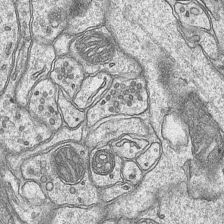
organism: Mouse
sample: CA1 Hippocampus